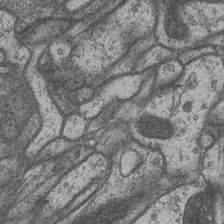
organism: Drosophila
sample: Optic medulla